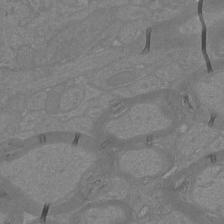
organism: Mouse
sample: Cortical neurons